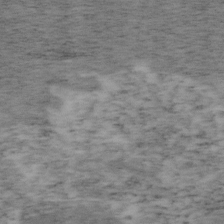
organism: Mouse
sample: OT-I killer T cells with ID8 ovarian cancer cells